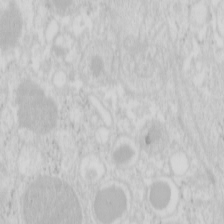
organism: Mouse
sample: Pancreas